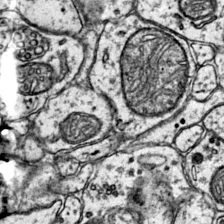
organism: Mouse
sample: Primary visual cortex